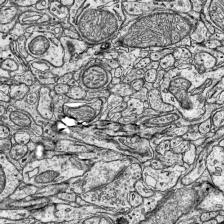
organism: Mouse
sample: Visual Cortex